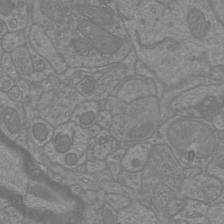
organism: Mouse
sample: Cortical neurons